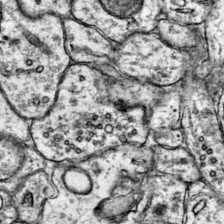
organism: Mouse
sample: Primary visual cortex